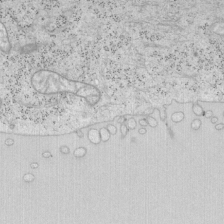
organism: Mouse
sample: OT-I killer T cells with ID8 ovarian cancer cells